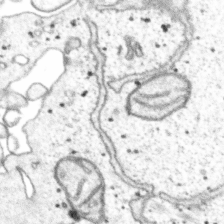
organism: Human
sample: HeLa cells